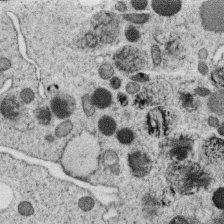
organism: C. elegans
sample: C. elegans oocyte; sperm cells